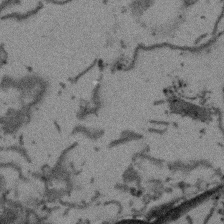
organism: Arabidopsis thaliana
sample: Root tip